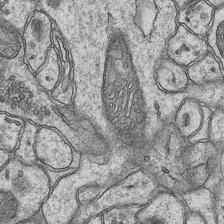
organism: Mouse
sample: CA1 Hippocampus